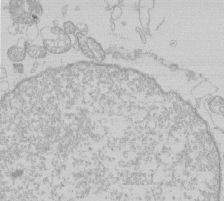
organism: Human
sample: Macrophage cells